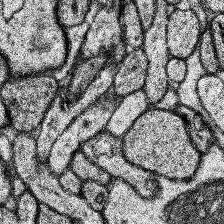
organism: Human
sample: Temporal Lobe